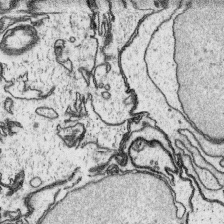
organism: Platynereis dumerilii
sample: Parapodia